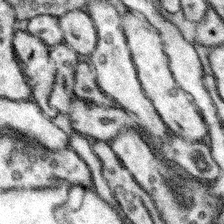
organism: Mouse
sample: Somatosensory cortex neuropil